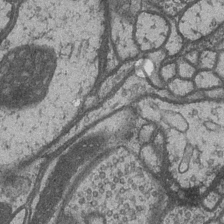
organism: Drosophila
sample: Optic medulla